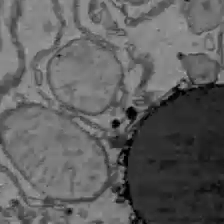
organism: C57BL Mouse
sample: Liver